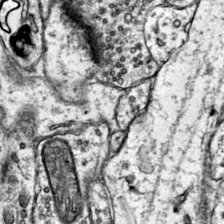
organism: Mouse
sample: Primary visual cortex